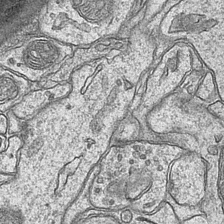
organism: Mouse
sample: CA1 Hippocampus